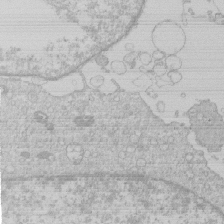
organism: Human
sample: Macrophage cells